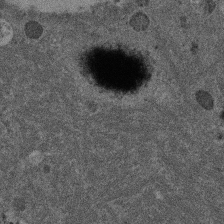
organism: Mouse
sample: Dividing mouse embryo 1 cell stage